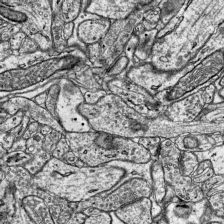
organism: Mouse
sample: Visual Cortex